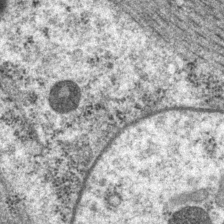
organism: P. pacificus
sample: Pharynx